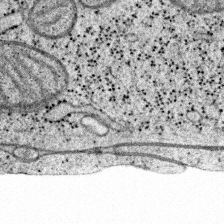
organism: Human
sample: HeLa cells